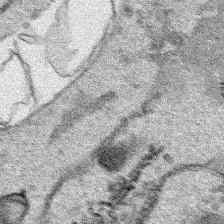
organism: Human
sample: Mitochondria in HCT116 cells